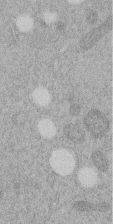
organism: C. elegans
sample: C. elegans embryo early stage